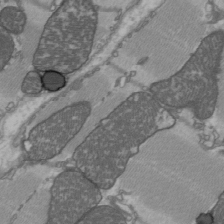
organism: C57BL Mouse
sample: Heart